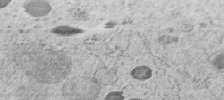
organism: C. elegans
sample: C. elegans embryo early stage